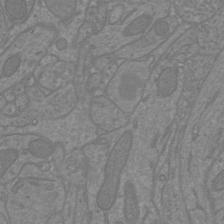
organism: Mouse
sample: Cortical neurons